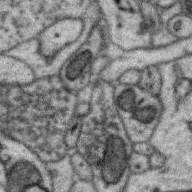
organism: Zebra finch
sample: Brain